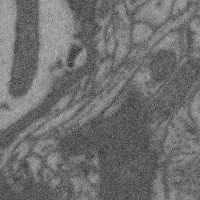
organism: Mouse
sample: Cerebral cortex